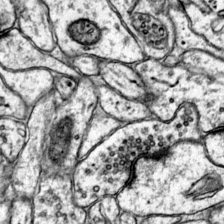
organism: Mouse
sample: Primary visual cortex